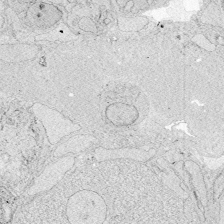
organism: Zebrafish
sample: Whole-Brain